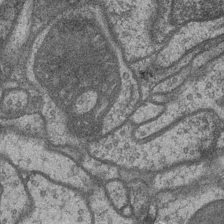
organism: Drosophila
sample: Optic medulla